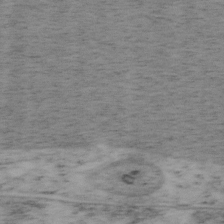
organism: Mouse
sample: OT-I killer T cells with ID8 ovarian cancer cells